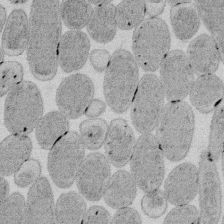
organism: E. coli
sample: Bacterial nucleoid